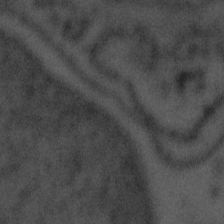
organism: Tuwongella immobilis